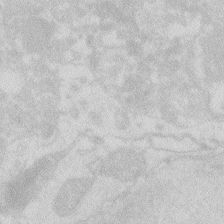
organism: Zebrafish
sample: Macrophage